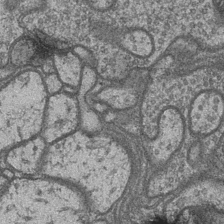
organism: Drosophila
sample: Optic medulla